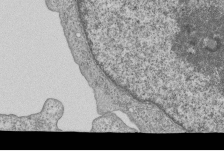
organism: Human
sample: MDA-MB-231 cells